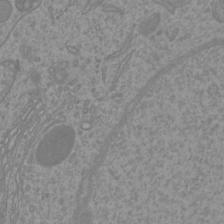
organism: Mouse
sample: Cortical neurons